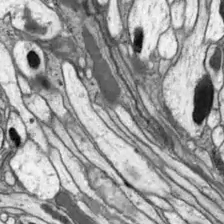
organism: Drosophila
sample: Optic lobe